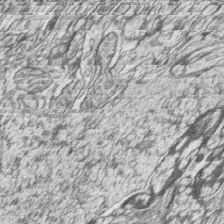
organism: Zebrafish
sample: synaptic ribbons in rod cells and cone cells